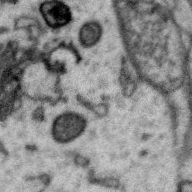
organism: Zebra finch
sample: Brain